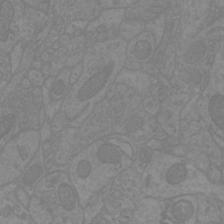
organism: Mouse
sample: Cortical neurons